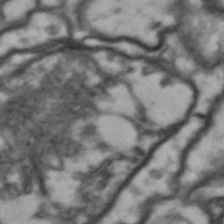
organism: Drosophila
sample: Brain